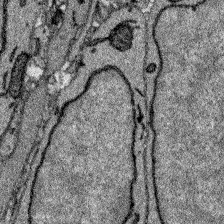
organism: Zebrafish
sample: Larval olfactory bulb